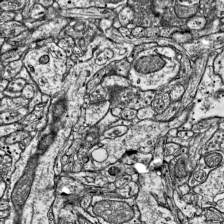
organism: Mouse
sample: Visual Cortex